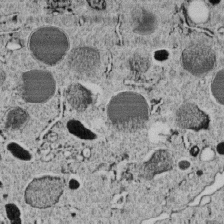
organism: C. elegans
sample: C. elegans embryo early stage